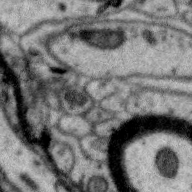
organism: Zebra finch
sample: Brain